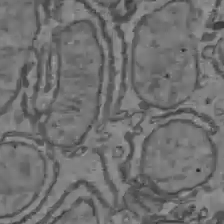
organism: C57BL Mouse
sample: Liver